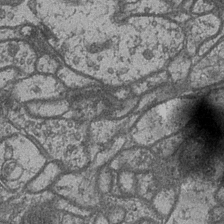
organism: Drosophila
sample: Optic medulla